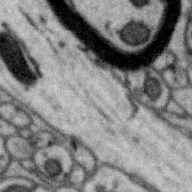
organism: Zebra finch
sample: Brain